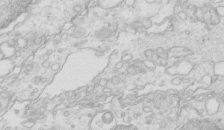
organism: Mouse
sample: Multiciliated cells